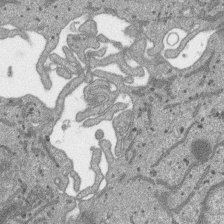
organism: Human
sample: Lung epithelial cells infected with SARS-CoV-2